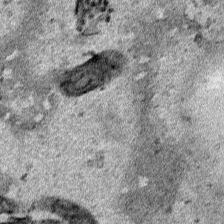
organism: Human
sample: Mitochondria in HCT116 cells